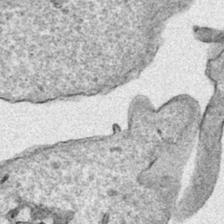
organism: Human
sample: Mitochondria in HCT116 cells